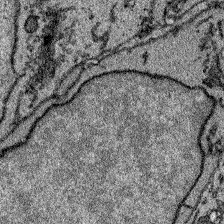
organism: Zebrafish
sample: Larval olfactory bulb